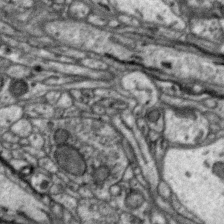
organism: Zebra finch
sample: Brain